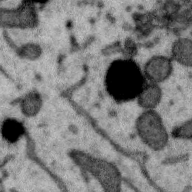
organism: Zebra finch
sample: Brain